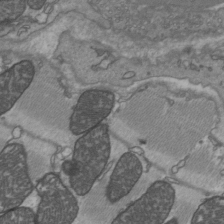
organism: C57BL Mouse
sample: Heart